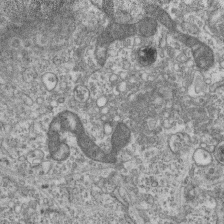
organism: Mouse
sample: Centriole in ependymal cells